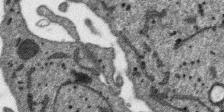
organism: Human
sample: Lung epithelial cells infected with SARS-CoV-2